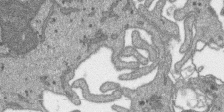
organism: Human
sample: Lung epithelial cells infected with SARS-CoV-2